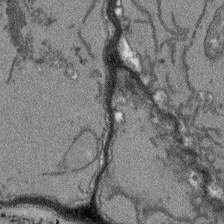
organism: Arabidopsis thaliana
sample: Root tip